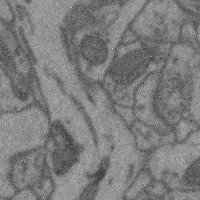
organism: Mouse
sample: Cerebral cortex